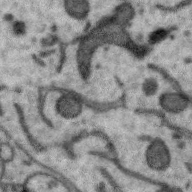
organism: Zebra finch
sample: Brain